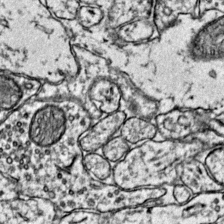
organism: Mouse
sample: Primary visual cortex